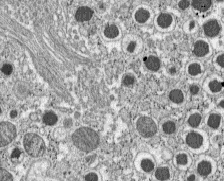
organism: C57BL Mouse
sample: Pancreatic islet